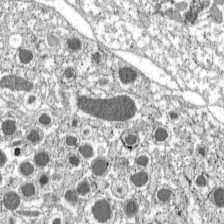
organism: C57BL Mouse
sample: Pancreatic islet